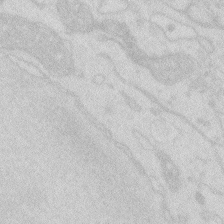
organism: Zebrafish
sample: Macrophage